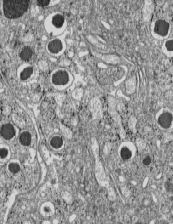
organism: C57BL Mouse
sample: Pancreatic islet